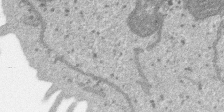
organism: Human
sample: Lung epithelial cells infected with SARS-CoV-2